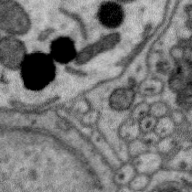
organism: Zebra finch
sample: Brain